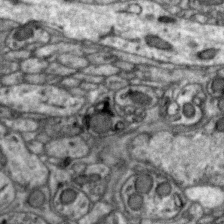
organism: Zebra finch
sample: Brain